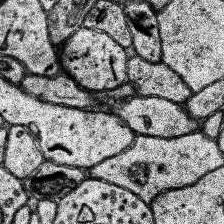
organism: Human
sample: Temporal Lobe